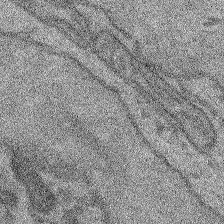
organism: Human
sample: HeLa cells